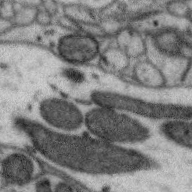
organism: Zebra finch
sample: Brain